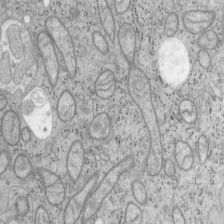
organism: Mouse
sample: OT-I killer T cells with ID8 ovarian cancer cells